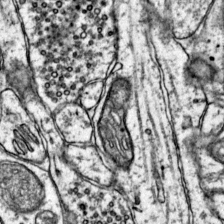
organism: Mouse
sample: Primary visual cortex